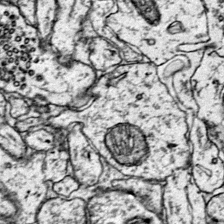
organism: Mouse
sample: Primary visual cortex